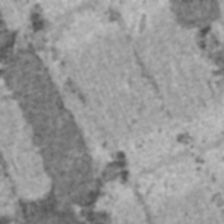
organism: C57BL Mouse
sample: Heart